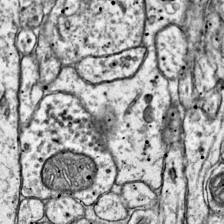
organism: Mouse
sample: Primary visual cortex